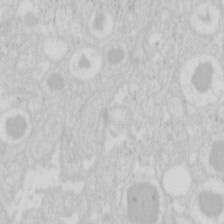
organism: Mouse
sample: Pancreas